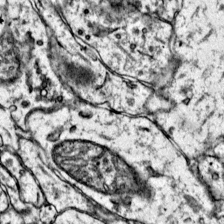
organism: Mouse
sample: Primary visual cortex